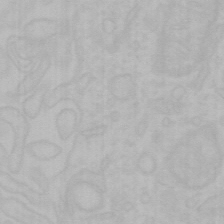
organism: Mouse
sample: Choroid plexus